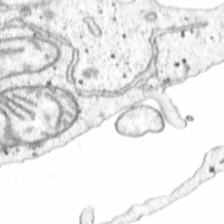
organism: Human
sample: HeLa cells